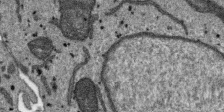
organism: Human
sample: Lung epithelial cells, uninfected (mock) control